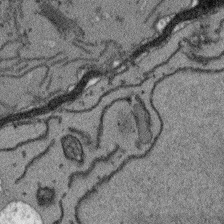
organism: Arabidopsis thaliana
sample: Root tip